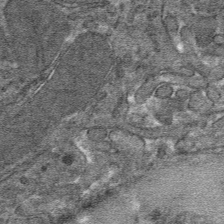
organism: Mouse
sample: Mouse hepatocytes